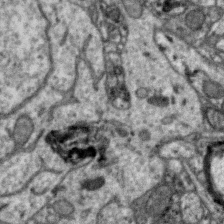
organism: Zebra finch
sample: Brain